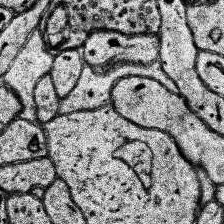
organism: Human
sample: Temporal Lobe